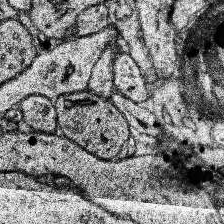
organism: Human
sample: Temporal Lobe